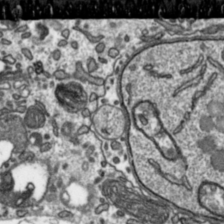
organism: Toxoplasma gondii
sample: Parasites in a vacuole inside a host cell